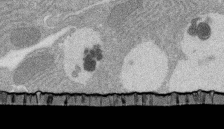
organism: Rat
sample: Salivary granule